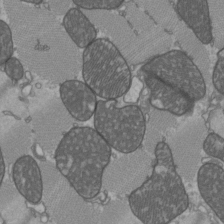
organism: C57BL Mouse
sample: Heart